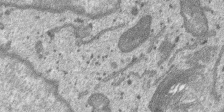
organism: Human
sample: Lung epithelial cells infected with SARS-CoV-2